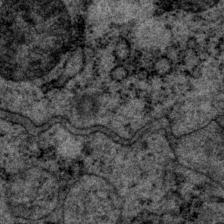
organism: P. pacificus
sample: Pharynx